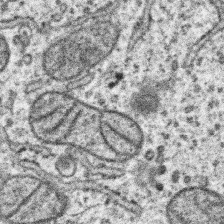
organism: Human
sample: HeLa cells